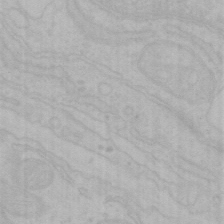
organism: Mouse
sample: Choroid plexus